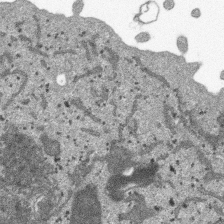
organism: Human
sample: Lung epithelial cells infected with SARS-CoV-2